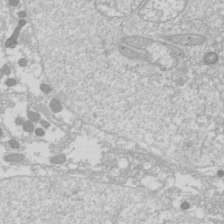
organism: Drosophila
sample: Cell division; meiosis; drosophila spermatocytes